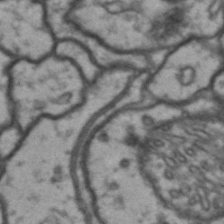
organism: Drosophila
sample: Brain